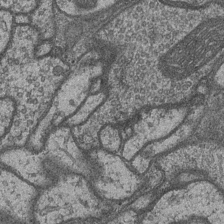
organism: Drosophila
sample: Optic medulla